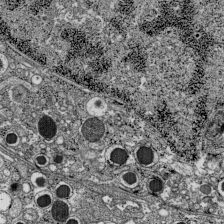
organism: C57BL Mouse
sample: Pancreatic islet